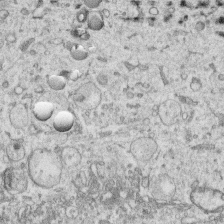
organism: Human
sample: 1205lu cells